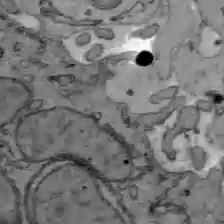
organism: C57BL Mouse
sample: Liver